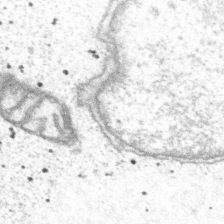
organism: Human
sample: HeLa cells